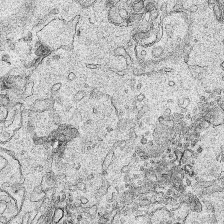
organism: Human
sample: Mitochondria in HCT116 cells